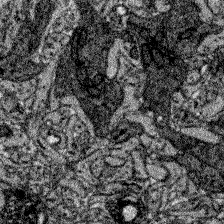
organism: Zebrafish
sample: Larval olfactory bulb